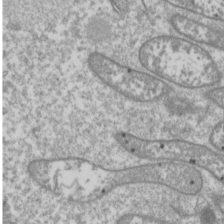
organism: Drosophila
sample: Cell division; meiosis; drosophila spermatocytes